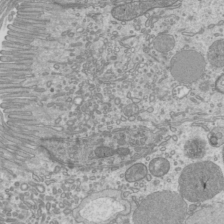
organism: Mouse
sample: Cilia; mouse epididymis